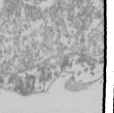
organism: Drosophila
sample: Cell division; meiosis; drosophila spermatocytes